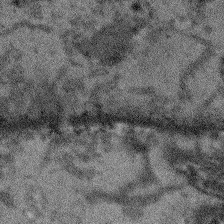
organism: Arabidopsis thaliana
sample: Root tip